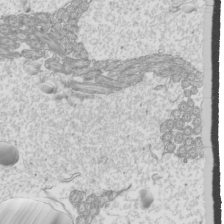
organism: Mouse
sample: Cilia; mouse epididymis